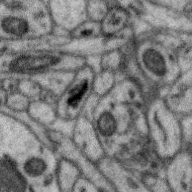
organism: Zebra finch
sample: Brain